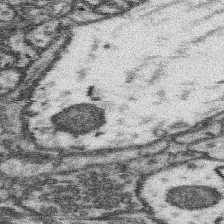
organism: Mouse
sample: Somatosensory cortex neuropil